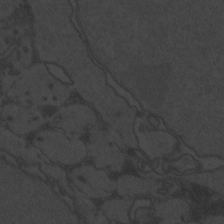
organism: Zebrafish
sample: Macrophage infected with Toxoplasma gondii